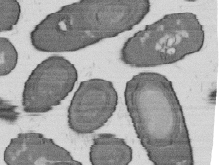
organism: B. subtilis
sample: Bacterial spore